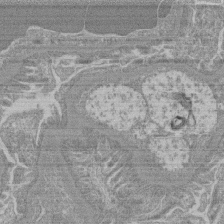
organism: Mouse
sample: Glomerulus